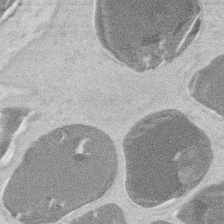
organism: Mouse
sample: T cell stromal cell synapse